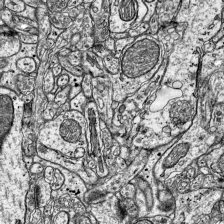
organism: Mouse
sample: Visual Cortex